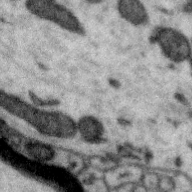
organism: Zebra finch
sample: Brain